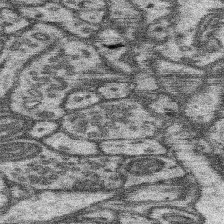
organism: Mouse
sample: Somatosensory cortex neuropil